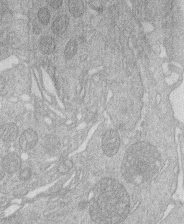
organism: Human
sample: Macrophage cells